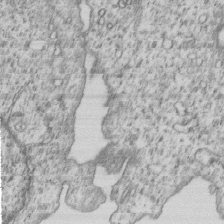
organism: Human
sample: MDA-MB-231 cells